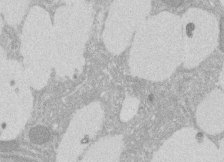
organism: Rat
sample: Salivary granule